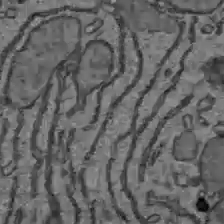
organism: C57BL Mouse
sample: Liver